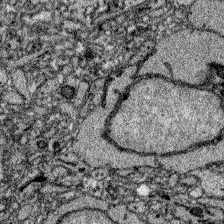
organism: Zebrafish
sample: Larval olfactory bulb